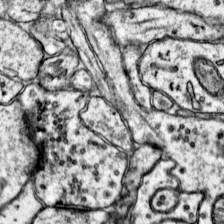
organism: Mouse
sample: Primary visual cortex